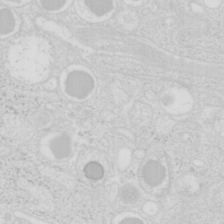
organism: Mouse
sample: Pancreas